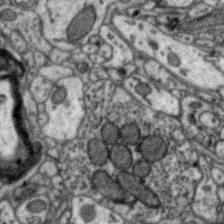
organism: Zebra finch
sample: Brain